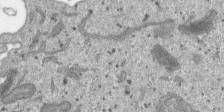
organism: Human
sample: Lung epithelial cells infected with SARS-CoV-2